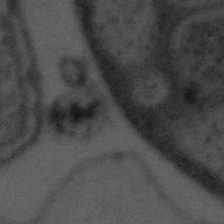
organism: Tuwongella immobilis